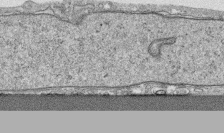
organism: Human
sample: CRL-1474